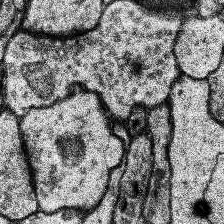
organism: Human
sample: Temporal Lobe